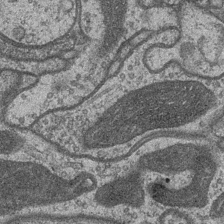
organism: Drosophila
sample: Optic medulla